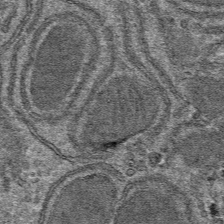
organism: Mouse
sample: Mouse hepatocytes